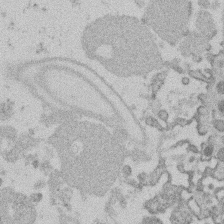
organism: Mouse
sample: Dividing mouse embryo 1 cell stage